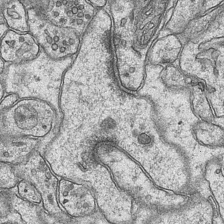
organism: Mouse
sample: CA1 Hippocampus